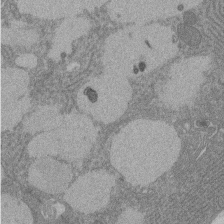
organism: Rat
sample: Salivary granule